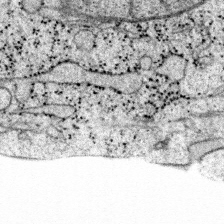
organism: Human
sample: HeLa cells